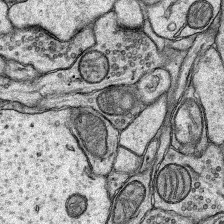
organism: Rat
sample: Hippocampus